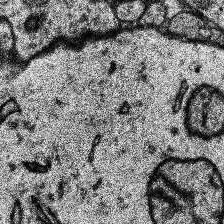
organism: Human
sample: Temporal Lobe